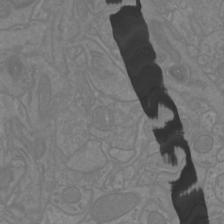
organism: Mouse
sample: Cortical neurons